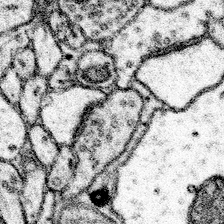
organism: Mouse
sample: Somatosensory cortex neuropil